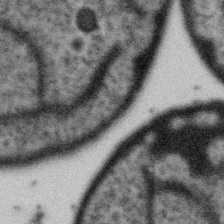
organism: Gemmata obscuriglobus